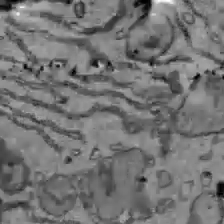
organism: C57BL Mouse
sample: Liver